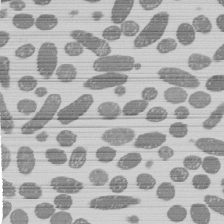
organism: E. coli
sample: Bacterial nucleoid